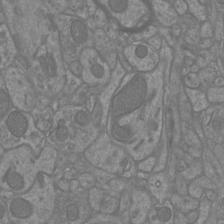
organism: Mouse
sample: Cortical neurons